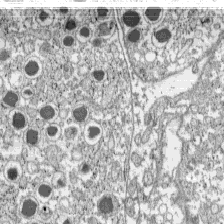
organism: C57BL Mouse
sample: Pancreatic islet